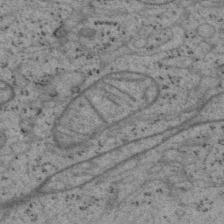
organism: Human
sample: HeLa cells